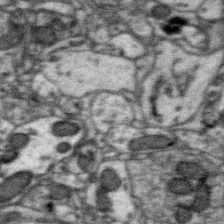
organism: Zebra finch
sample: Brain